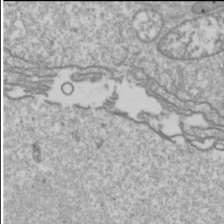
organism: Drosophila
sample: Cell division; meiosis; drosophila spermatocytes